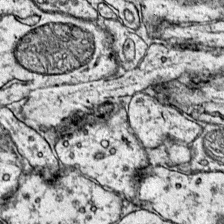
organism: Mouse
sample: Primary visual cortex